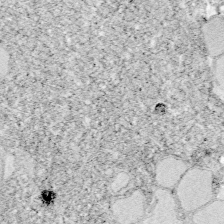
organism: Zebrafish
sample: Whole-Brain